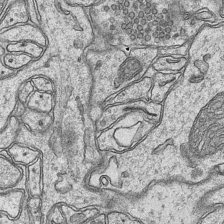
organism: Mouse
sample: CA1 Hippocampus